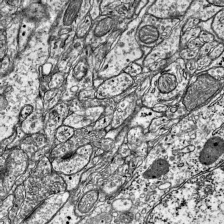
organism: Mouse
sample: Visual Cortex